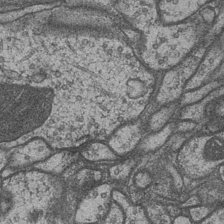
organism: Drosophila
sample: Optic medulla